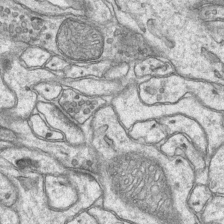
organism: Mouse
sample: CA1 Hippocampus